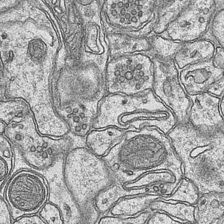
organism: Mouse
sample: CA1 Hippocampus